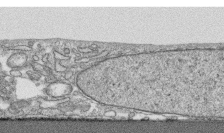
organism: Human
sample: CRL-1474